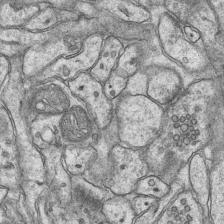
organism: Mouse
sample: CA1 Hippocampus